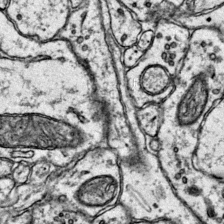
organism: Mouse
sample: Primary visual cortex